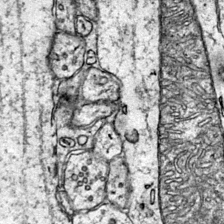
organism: Mouse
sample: Primary visual cortex